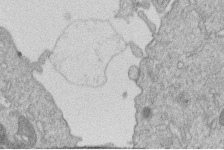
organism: Human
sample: Macrophage cells